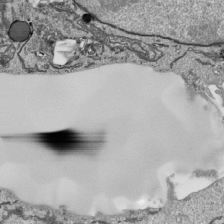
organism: Human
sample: Mitochondria in HCT116 cells